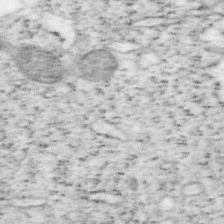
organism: Mouse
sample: OT-I killer T cells with ID8 ovarian cancer cells